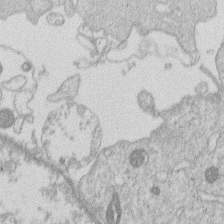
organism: Human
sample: Macrophage cells